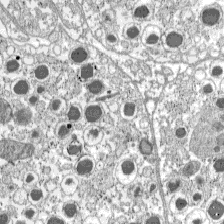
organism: C57BL Mouse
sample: Pancreatic islet